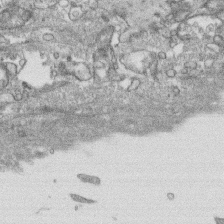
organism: Human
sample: CRL-1474